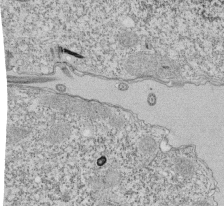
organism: Tetrahymena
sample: Cilia in tetrahymena